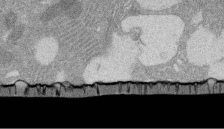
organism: Rat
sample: Salivary granule